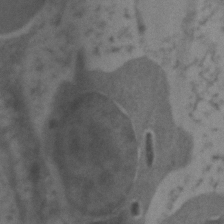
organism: Zebrafish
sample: Zebrafish embryo